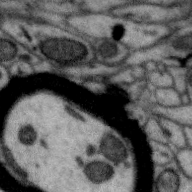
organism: Zebra finch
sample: Brain